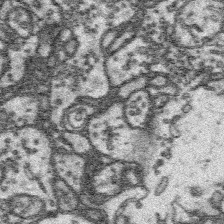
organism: Platynereis dumerilii